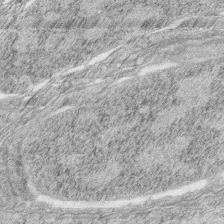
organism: Zebrafish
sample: synaptic ribbons in rod cells and cone cells